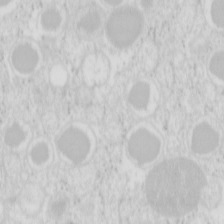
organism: Mouse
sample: Pancreas